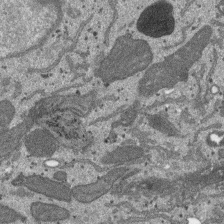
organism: Human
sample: Lung epithelial cells infected with SARS-CoV-2